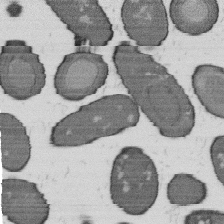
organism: B. subtilis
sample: Bacterial spore